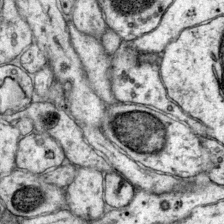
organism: Mouse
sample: Primary visual cortex